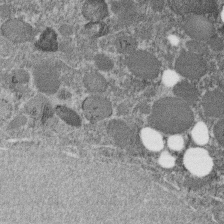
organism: C. elegans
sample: C. elegans embryo early stage